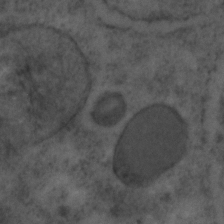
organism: C. elegans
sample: C. elegans embryo